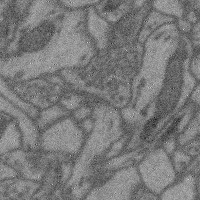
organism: Mouse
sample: Cerebral cortex